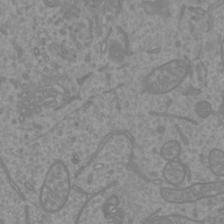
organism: Mouse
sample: Cortical neurons